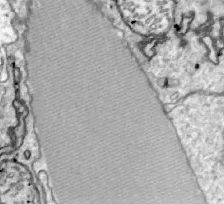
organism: Zebrafish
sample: Actinotrichia fibers